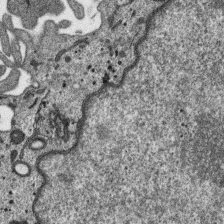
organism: Human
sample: Lung epithelial cells infected with SARS-CoV-2